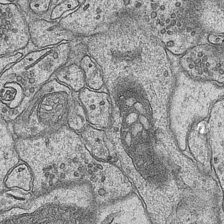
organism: Mouse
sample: CA1 Hippocampus